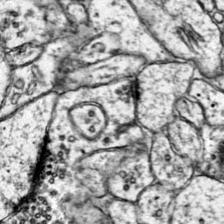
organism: Mouse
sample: Primary visual cortex